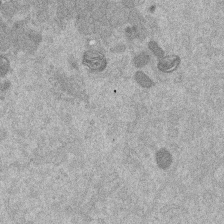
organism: Mouse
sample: Dividing mouse embryo 1 cell stage